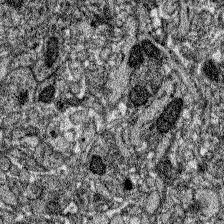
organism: Zebrafish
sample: Larval olfactory bulb